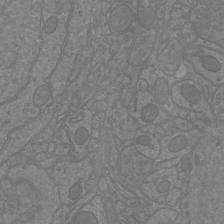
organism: Mouse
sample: Cortical neurons